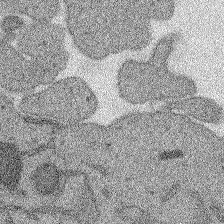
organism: Human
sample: HeLa cells